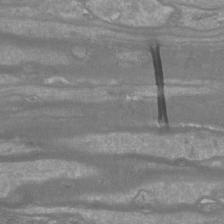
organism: Mouse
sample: Cortical neurons